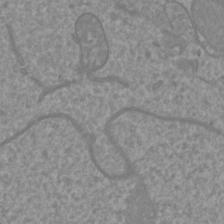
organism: Mouse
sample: Cortical neurons